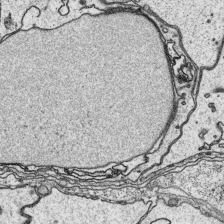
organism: Platynereis dumerilii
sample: Parapodia